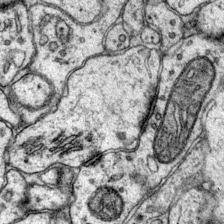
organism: Mouse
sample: Primary visual cortex